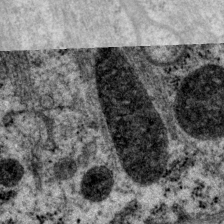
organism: P. pacificus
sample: Pharynx